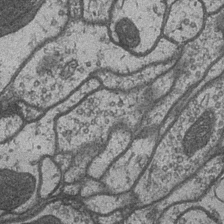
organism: Drosophila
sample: Optic medulla